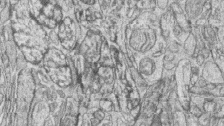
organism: Zebrafish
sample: synaptic ribbons in rod cells and cone cells